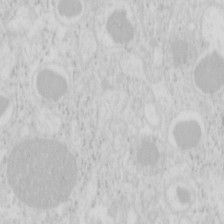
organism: Mouse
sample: Pancreas